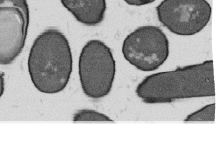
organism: B. subtilis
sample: Bacterial spore